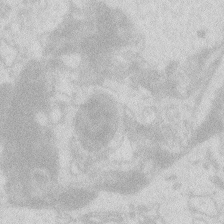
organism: Zebrafish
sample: Macrophage